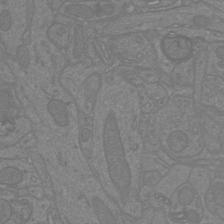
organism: Mouse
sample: Cortical neurons